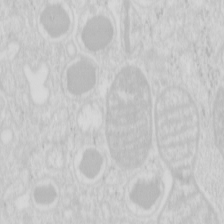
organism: Mouse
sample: Pancreas